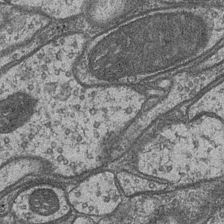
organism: Drosophila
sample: Optic medulla